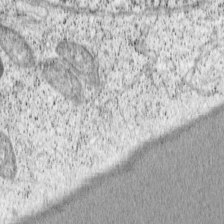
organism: African green monkey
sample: COS-7 cells